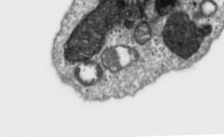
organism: Toxoplasma gondii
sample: Parasites in a vacuole inside a host cell